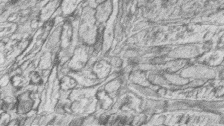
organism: Zebrafish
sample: synaptic ribbons in rod cells and cone cells